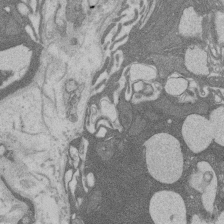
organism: Rat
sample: Salivary granule